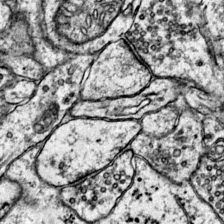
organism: Mouse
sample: Primary visual cortex